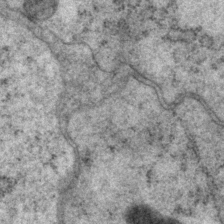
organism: P. pacificus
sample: Pharynx